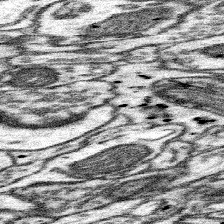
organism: Mouse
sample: Somatosensory cortex neuropil